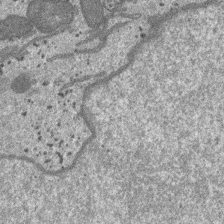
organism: Human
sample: Lung epithelial cells infected with SARS-CoV-2